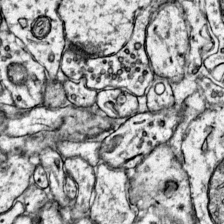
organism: Mouse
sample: Primary visual cortex